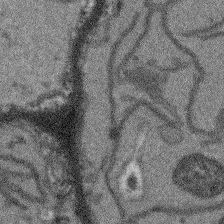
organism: Arabidopsis thaliana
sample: Root tip